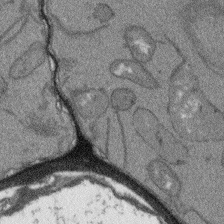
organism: Arabidopsis thaliana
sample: Root tip